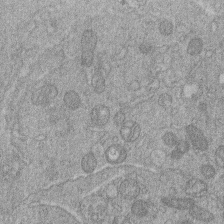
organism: Human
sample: Macrophage cells